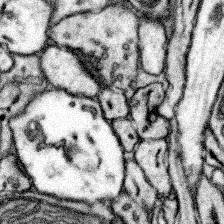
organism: Mouse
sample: Somatosensory cortex neuropil